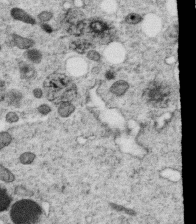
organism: C. elegans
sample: C. elegans oocyte; sperm cells